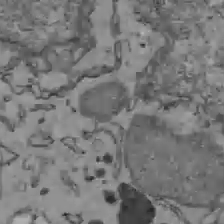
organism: C57BL Mouse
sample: Liver